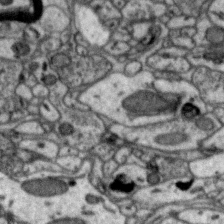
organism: Zebra finch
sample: Brain